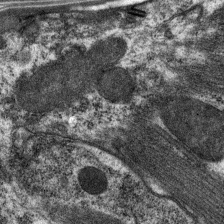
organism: C. elegans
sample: Pharynx